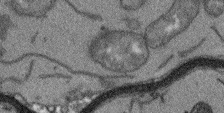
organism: Arabidopsis thaliana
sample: Root tip